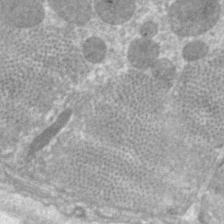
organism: C. elegans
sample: Pharynx